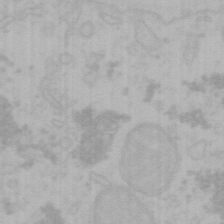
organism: Mouse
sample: Choroid plexus